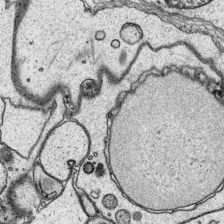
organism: Platynereis dumerilii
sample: Parapodia